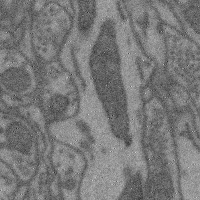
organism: Mouse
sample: Cerebral cortex